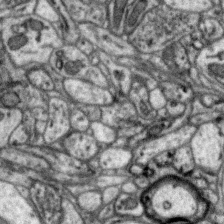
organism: Zebra finch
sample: Brain